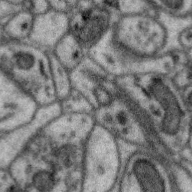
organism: Zebra finch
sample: Brain